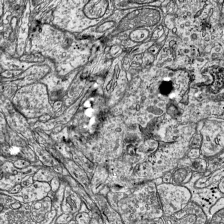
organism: Mouse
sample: Visual Cortex